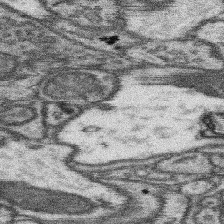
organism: Mouse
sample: Somatosensory cortex neuropil